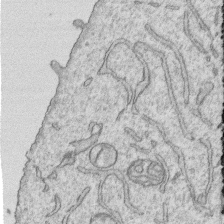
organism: Human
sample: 1205lu cells